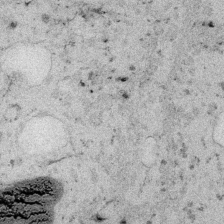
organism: Embia sp.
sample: Silk gland